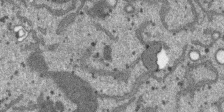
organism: Human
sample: Lung epithelial cells infected with SARS-CoV-2